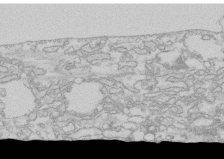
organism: Human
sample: CRL-1474